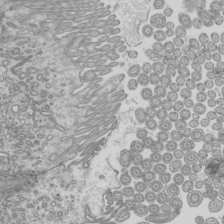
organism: Mouse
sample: Cilia; mouse epididymis